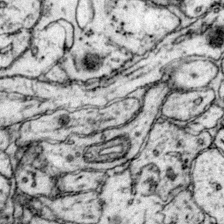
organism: Mouse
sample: Primary visual cortex